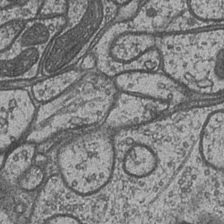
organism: Drosophila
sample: Optic medulla